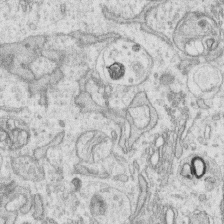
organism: Human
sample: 1205lu cells